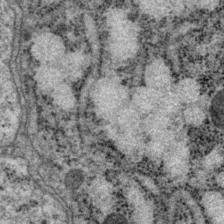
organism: P. pacificus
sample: Pharynx